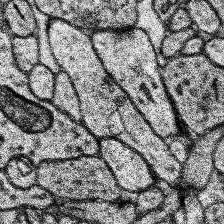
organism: Human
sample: Temporal Lobe